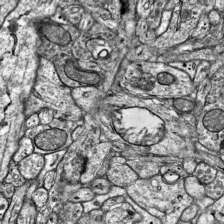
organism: Mouse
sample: Visual Cortex